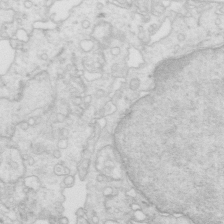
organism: Mouse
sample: Multiciliated cells